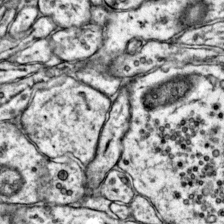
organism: Mouse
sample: Primary visual cortex